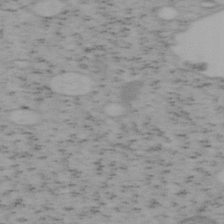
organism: Mouse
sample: OT-I killer T cells with ID8 ovarian cancer cells